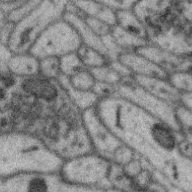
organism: Zebra finch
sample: Brain